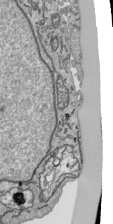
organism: Human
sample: Mitochondria in HCT116 cells